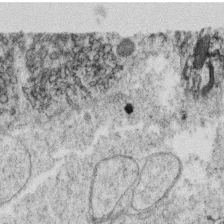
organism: C. elegans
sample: C. elegans oocyte; sperm cells